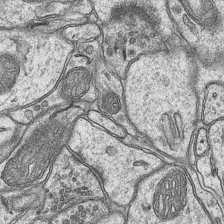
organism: Mouse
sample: CA1 Hippocampus